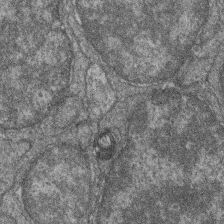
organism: Zebrafish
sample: Cilia; retinal pigment epithelium